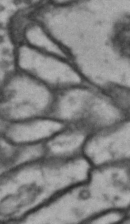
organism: Drosophila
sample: Brain